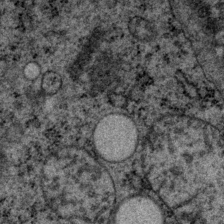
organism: P. pacificus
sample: Pharynx